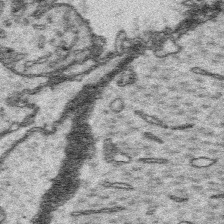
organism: Platynereis dumerilii